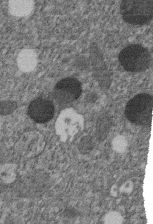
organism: C. elegans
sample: C. elegans embryo early stage